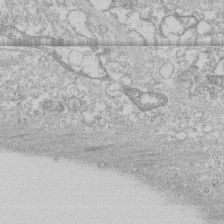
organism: Human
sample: CRL-1474